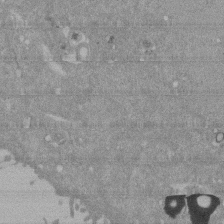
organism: Mouse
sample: ED-1 cell nuclei; centrioles